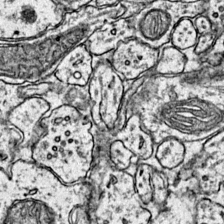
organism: Mouse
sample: Primary visual cortex